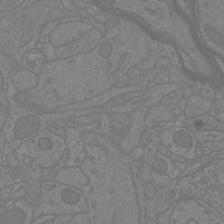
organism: Mouse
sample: Cortical neurons